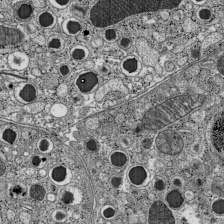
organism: C57BL Mouse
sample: Pancreatic islet